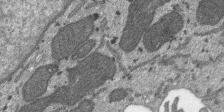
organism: Human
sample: Lung epithelial cells infected with SARS-CoV-2